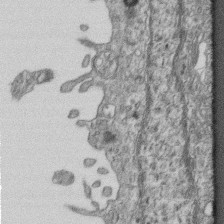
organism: Mouse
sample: Centriole in ependymal cells